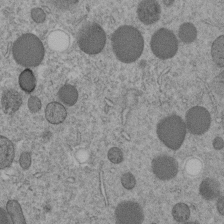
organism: C. elegans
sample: C. elegans embryo early stage